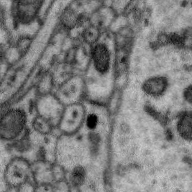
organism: Zebra finch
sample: Brain